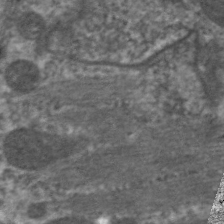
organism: C. elegans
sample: Pharynx